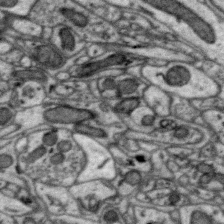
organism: Zebra finch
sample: Brain